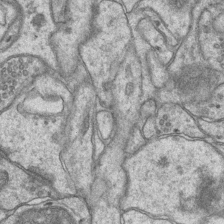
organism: Mouse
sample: CA1 Hippocampus